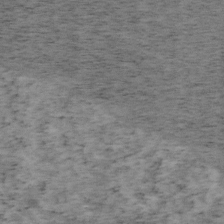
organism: Mouse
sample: OT-I killer T cells with ID8 ovarian cancer cells